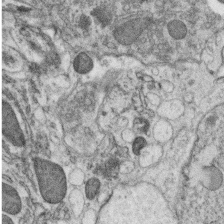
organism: C. elegans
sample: C. elegans oocyte; sperm cells